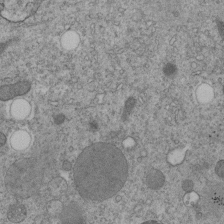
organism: C. elegans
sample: C. elegans embryo early stage